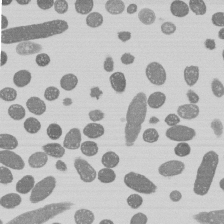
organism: E. coli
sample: Bacterial nucleoid